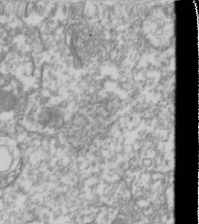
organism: Drosophila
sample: Cell division; meiosis; drosophila spermatocytes